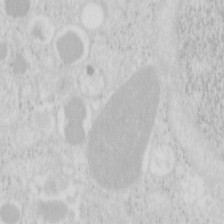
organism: Mouse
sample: Pancreas